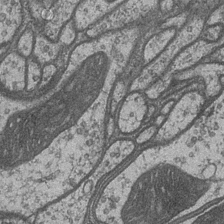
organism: Drosophila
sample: Optic medulla